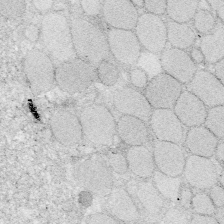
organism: Zebrafish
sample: Whole-Brain